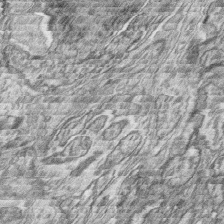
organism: Zebrafish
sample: synaptic ribbons in rod cells and cone cells